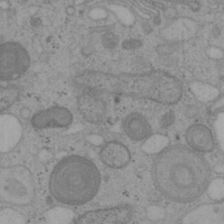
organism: Mouse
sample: OT-I killer T cells with ID8 ovarian cancer cells